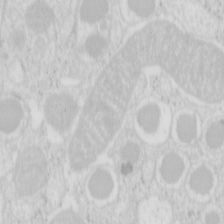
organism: Mouse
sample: Pancreas